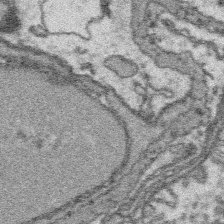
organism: Platynereis dumerilii